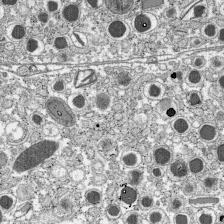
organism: C57BL Mouse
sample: Pancreatic islet